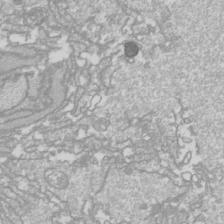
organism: Drosophila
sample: Cell division; meiosis; drosophila spermatocytes